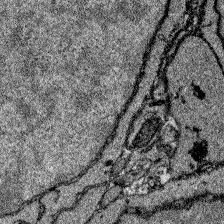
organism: Zebrafish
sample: Larval olfactory bulb